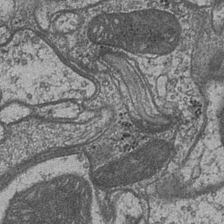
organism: Drosophila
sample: Optic medulla